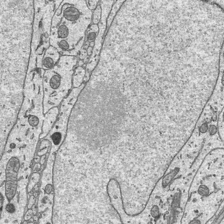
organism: Mouse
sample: Suprachiasmatic nucleus